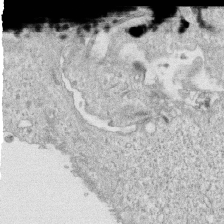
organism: Human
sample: HeLa cell HIV synapse